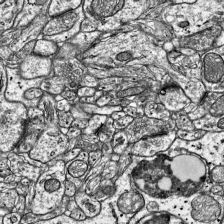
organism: Mouse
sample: Visual Cortex